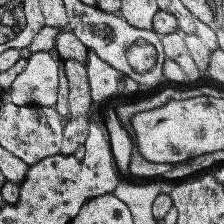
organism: Human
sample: Temporal Lobe